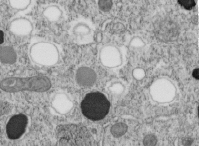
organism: C. elegans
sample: C. elegans embryo early stage